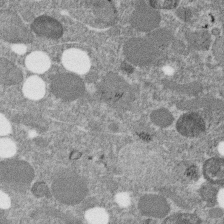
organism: C. elegans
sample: C. elegans embryo early stage